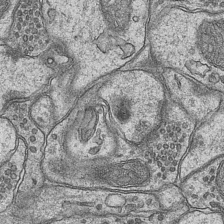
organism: Mouse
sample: CA1 Hippocampus